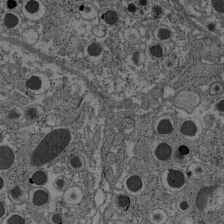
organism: C57BL Mouse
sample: Pancreatic islet